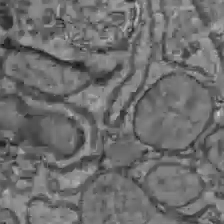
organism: C57BL Mouse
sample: Liver